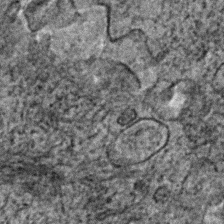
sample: Trachea